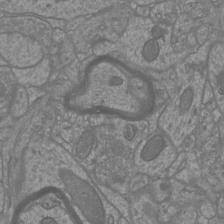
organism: Mouse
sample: Cortical neurons